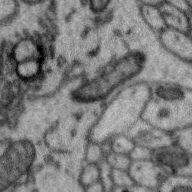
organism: Zebra finch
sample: Brain